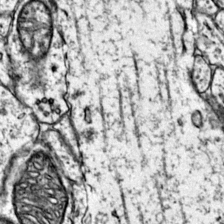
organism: Mouse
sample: Primary visual cortex